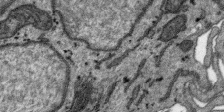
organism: Human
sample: Lung epithelial cells, uninfected (mock) control